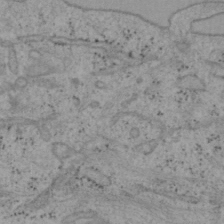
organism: Human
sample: HeLa cells